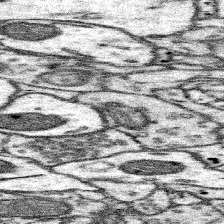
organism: Mouse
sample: Somatosensory cortex neuropil